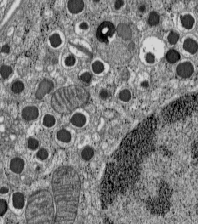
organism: C57BL Mouse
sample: Pancreatic islet